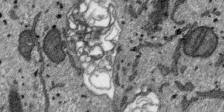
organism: Human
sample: Lung epithelial cells, uninfected (mock) control